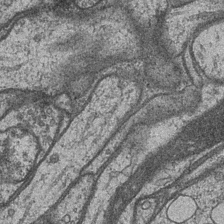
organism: Drosophila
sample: Optic medulla